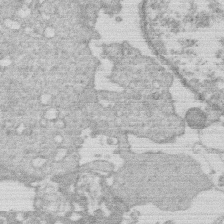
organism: Human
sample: Macrophage cells